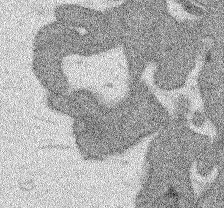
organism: Human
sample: HeLa cells